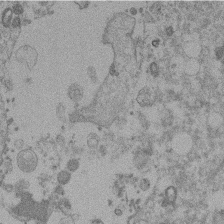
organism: Mouse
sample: Dividing mouse embryo 1 cell stage